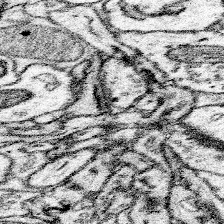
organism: Mouse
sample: Somatosensory cortex neuropil